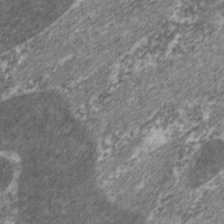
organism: C. elegans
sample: Pharynx